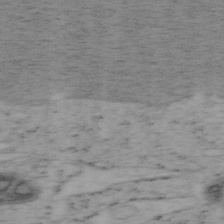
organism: Mouse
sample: OT-I killer T cells with ID8 ovarian cancer cells